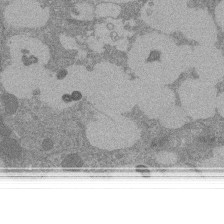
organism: Rat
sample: Salivary granule